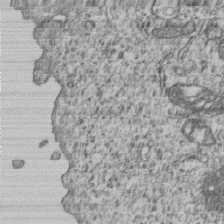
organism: Human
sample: MDA-MB-231 cells